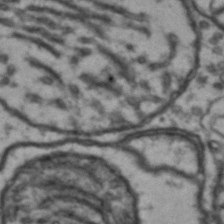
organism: Drosophila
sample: Brain